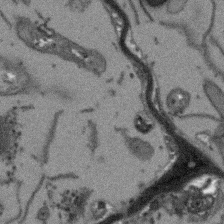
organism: Arabidopsis thaliana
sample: Root tip